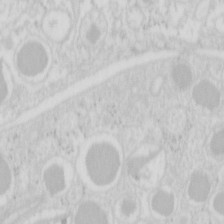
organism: Mouse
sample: Pancreas